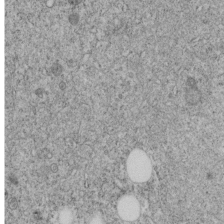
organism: C. elegans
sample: C. elegans embryo early stage